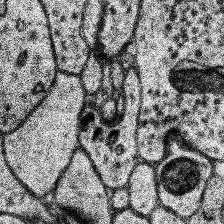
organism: Human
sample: Temporal Lobe